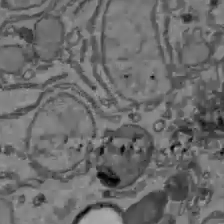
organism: C57BL Mouse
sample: Liver